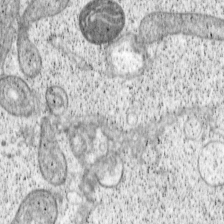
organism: African green monkey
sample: COS-7 cells